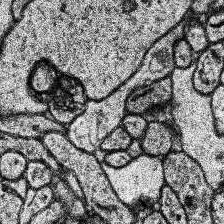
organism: Human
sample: Temporal Lobe